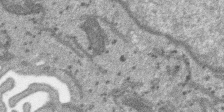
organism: Human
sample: Lung epithelial cells infected with SARS-CoV-2